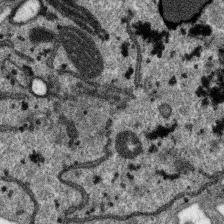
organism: Human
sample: Lung epithelial cells infected with SARS-CoV-2